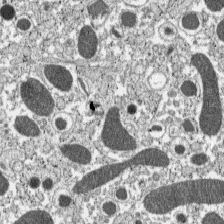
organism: C57BL Mouse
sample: Pancreatic islet